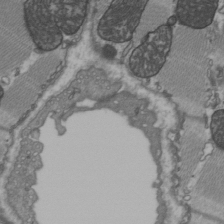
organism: C57BL Mouse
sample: Heart